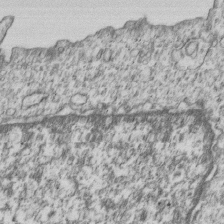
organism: Human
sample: MDA-MB-231 cells